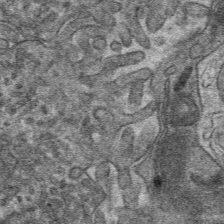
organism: Mouse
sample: Mouse hepatocytes